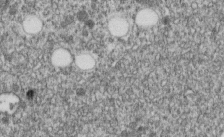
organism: C. elegans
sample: C. elegans embryo early stage